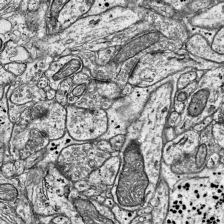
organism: Mouse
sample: Visual Cortex